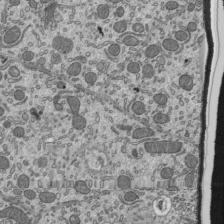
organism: Mouse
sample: Mouse epididymis efferent ductule cilia